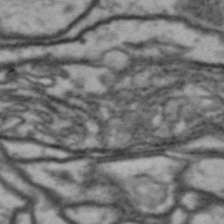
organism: Drosophila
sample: Brain